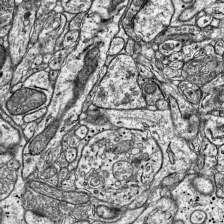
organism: Mouse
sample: Visual Cortex